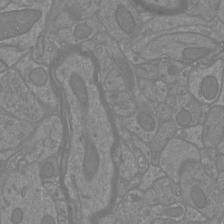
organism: Mouse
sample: Cortical neurons